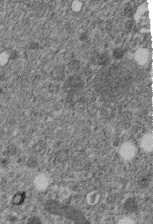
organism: C. elegans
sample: C. elegans embryo early stage